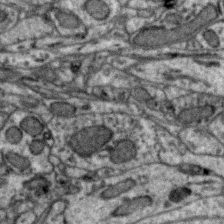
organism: Zebra finch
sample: Brain